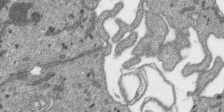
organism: Human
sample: Lung epithelial cells infected with SARS-CoV-2